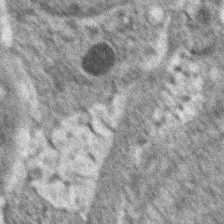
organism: Zebrafish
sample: Zebrafish embryo